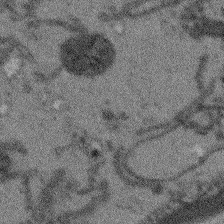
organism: Arabidopsis thaliana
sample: Root tip